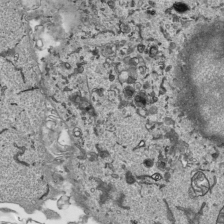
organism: Human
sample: Mitochondria in HCT116 cells